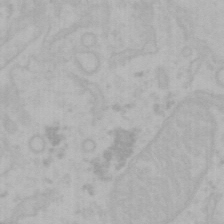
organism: Mouse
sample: Choroid plexus